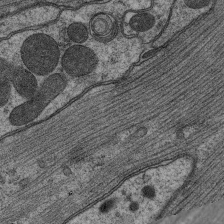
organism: C. elegans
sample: Pharynx